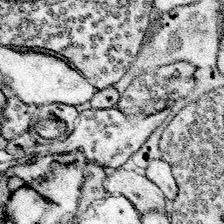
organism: Mouse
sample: Somatosensory cortex neuropil